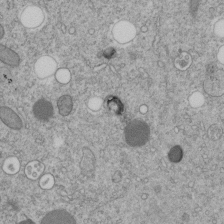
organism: C. elegans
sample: C. elegans embryo early stage